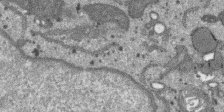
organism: Human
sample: Lung epithelial cells infected with SARS-CoV-2